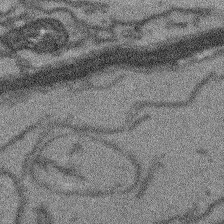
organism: Arabidopsis thaliana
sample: Root tip